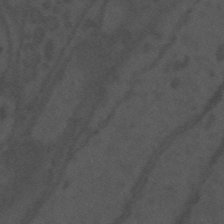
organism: Mouse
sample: Suprachiasmatic nucleus